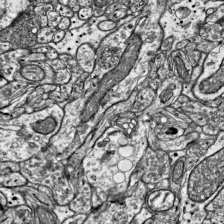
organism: Mouse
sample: Visual Cortex